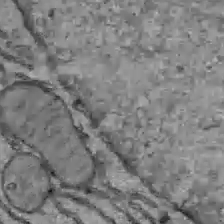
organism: C57BL Mouse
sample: Liver